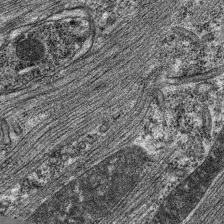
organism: C. elegans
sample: Pharynx